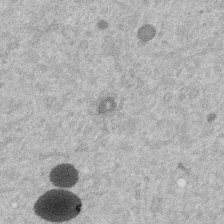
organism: Mouse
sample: Dividing mouse embryo 1 cell stage